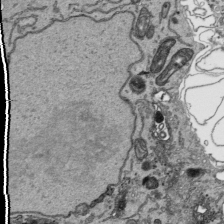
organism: Human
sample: Mitochondria in HCT116 cells